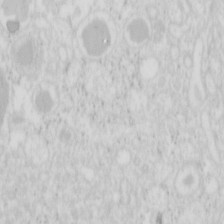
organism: Mouse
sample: Pancreas